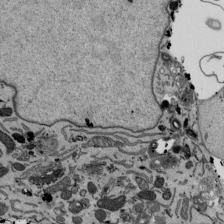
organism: Mouse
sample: ED-1 cell nuclei; centrioles